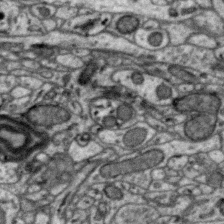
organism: Zebra finch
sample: Brain